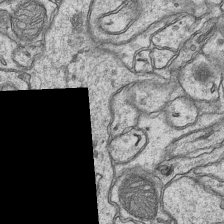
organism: Mouse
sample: CA1 Hippocampus